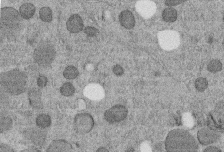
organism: C. elegans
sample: C. elegans embryo early stage